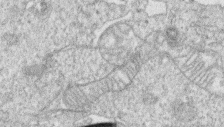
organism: Human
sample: HeLa cell HIV synapse